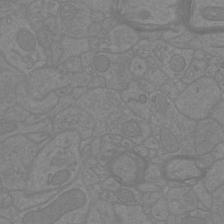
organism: Mouse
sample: Cortical neurons